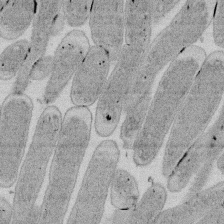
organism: E. coli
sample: Bacterial nucleoid